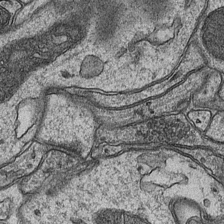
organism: Mouse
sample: CA1 Hippocampus